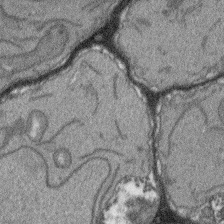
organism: Arabidopsis thaliana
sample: Root tip